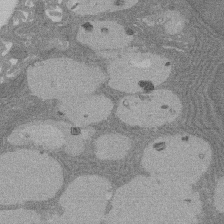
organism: Rat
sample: Salivary granule